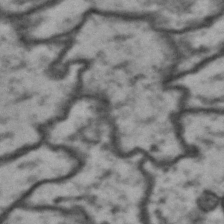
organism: Drosophila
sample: Brain